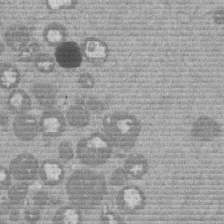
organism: Mouse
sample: Dividing mouse embryo 1 cell stage